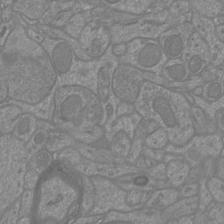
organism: Mouse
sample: Cortical neurons